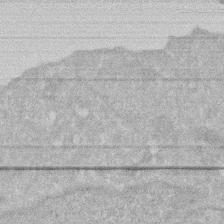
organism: Human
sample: HIV infected U937 cells